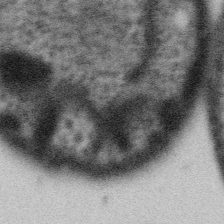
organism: Gemmata obscuriglobus